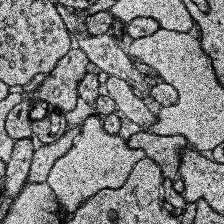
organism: Human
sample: Temporal Lobe